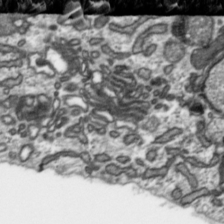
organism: Toxoplasma gondii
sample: Parasites in a vacuole inside a host cell